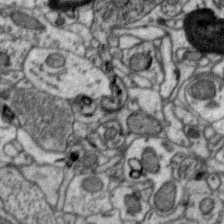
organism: Zebra finch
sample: Brain